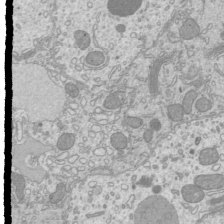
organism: Mouse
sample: Cilia; mouse epididymis